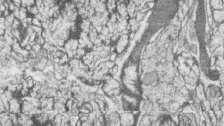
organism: Zebrafish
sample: synaptic ribbons in rod cells and cone cells